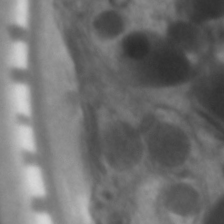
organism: C. elegans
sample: Pharynx